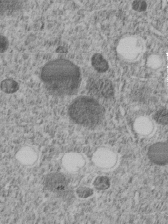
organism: C. elegans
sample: C. elegans embryo early stage